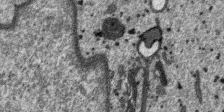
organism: Human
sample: Lung epithelial cells infected with SARS-CoV-2